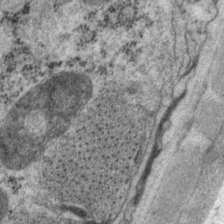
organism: P. pacificus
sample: Pharynx